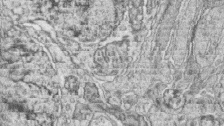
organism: Zebrafish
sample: synaptic ribbons in rod cells and cone cells